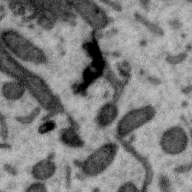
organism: Zebra finch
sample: Brain